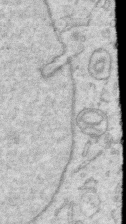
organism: Human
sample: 1205lu cells